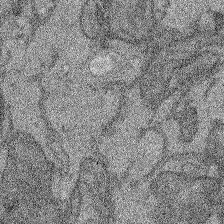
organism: Human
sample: HeLa cells